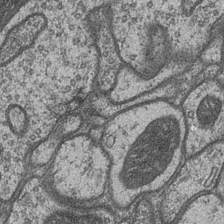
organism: Drosophila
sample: Optic medulla